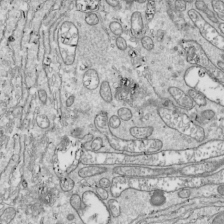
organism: Drosophila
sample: Cell division; meiosis; drosophila spermatocytes